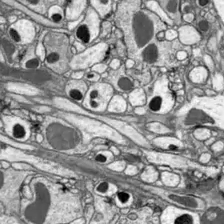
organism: Drosophila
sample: Optic lobe